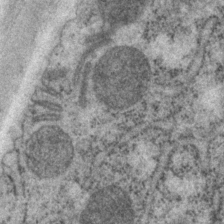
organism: P. pacificus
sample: Pharynx